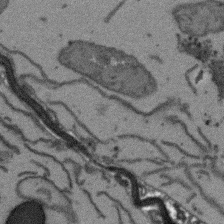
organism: Arabidopsis thaliana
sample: Root tip